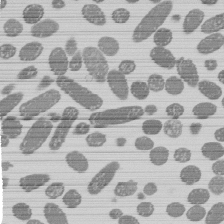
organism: E. coli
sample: Bacterial nucleoid